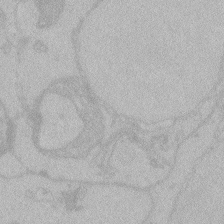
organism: Zebrafish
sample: Macrophage infected with Toxoplasma gondii